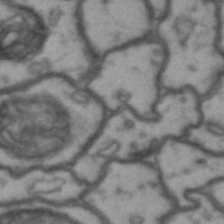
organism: Drosophila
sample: Brain